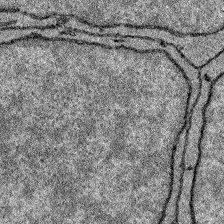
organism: Zebrafish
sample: Larval olfactory bulb